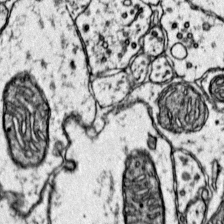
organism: Mouse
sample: Primary visual cortex